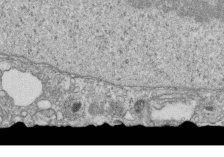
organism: Human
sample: HeLa cell HIV synapse